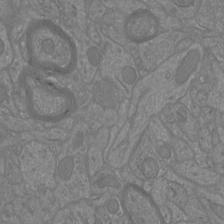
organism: Mouse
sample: Cortical neurons